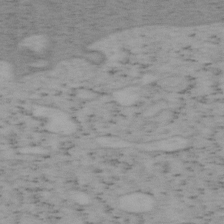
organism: Mouse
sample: OT-I killer T cells with ID8 ovarian cancer cells